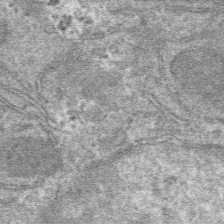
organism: Mouse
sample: Mouse hepatocytes